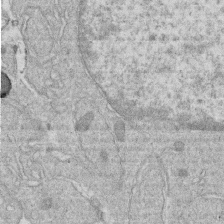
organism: Human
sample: Macrophage cells